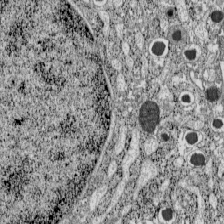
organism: C57BL Mouse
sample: Pancreatic islet